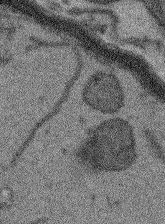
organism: Arabidopsis thaliana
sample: Root tip